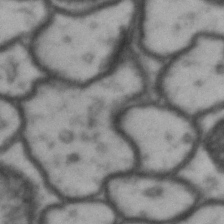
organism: Drosophila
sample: Brain